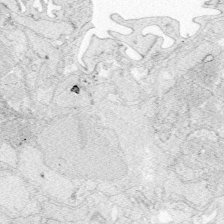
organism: Zebrafish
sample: Whole-Brain